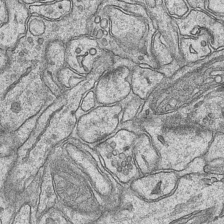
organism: Mouse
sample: CA1 Hippocampus